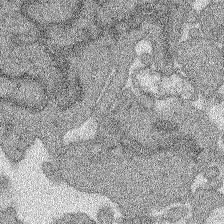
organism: Human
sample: HeLa cells